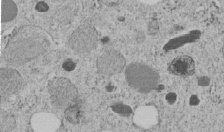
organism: C. elegans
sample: C. elegans embryo early stage